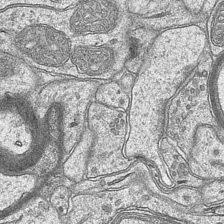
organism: Mouse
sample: CA1 Hippocampus